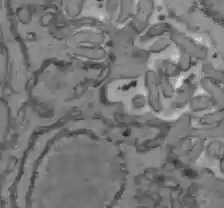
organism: C57BL Mouse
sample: Liver